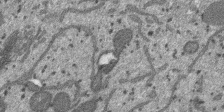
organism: Human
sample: Lung epithelial cells infected with SARS-CoV-2